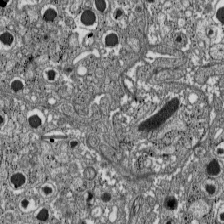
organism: C57BL Mouse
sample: Pancreatic islet